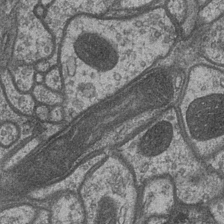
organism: Drosophila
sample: Optic medulla